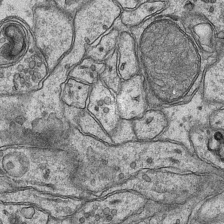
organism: Mouse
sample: CA1 Hippocampus